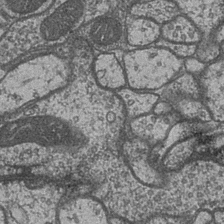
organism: Drosophila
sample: Optic medulla